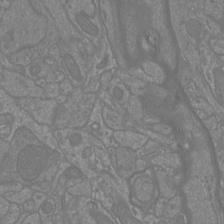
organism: Mouse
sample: Cortical neurons